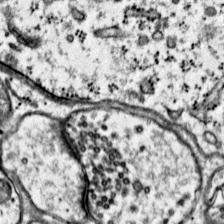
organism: Mouse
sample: Primary visual cortex